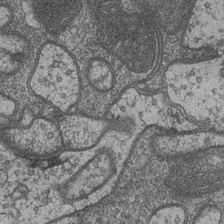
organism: Drosophila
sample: Optic medulla